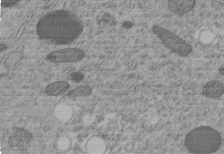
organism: C. elegans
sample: C. elegans embryo early stage